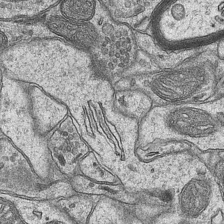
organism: Mouse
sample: CA1 Hippocampus